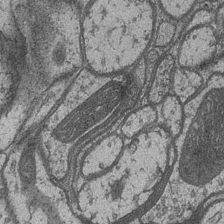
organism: Drosophila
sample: Optic medulla